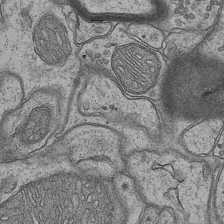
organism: Mouse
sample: CA1 Hippocampus